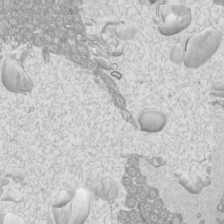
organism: Mouse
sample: Cilia; mouse epididymis